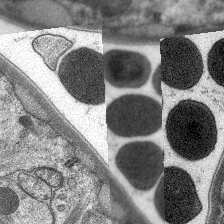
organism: C. elegans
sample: Pharynx